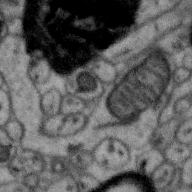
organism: Zebra finch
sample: Brain